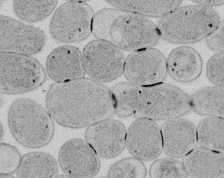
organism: E. coli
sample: Bacterial nucleoid